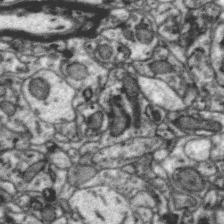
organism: Zebra finch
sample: Brain